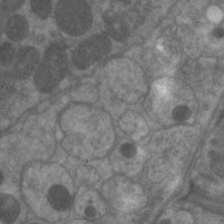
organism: C. elegans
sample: Pharynx